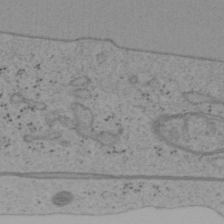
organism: Human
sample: HeLa cells